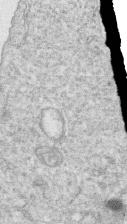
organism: Human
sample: HeLa cell HIV synapse